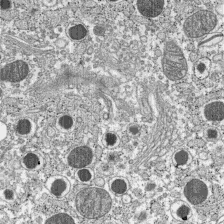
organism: C57BL Mouse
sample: Pancreatic islet